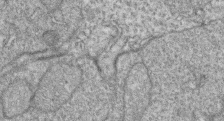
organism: Zebrafish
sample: Cilia; retinal pigment epithelium